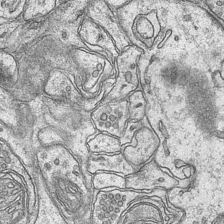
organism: Mouse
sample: CA1 Hippocampus